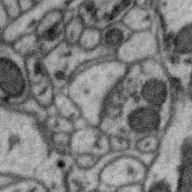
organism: Zebra finch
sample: Brain